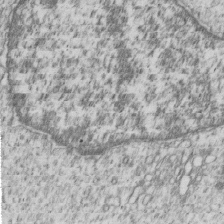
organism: Human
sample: MDA-MB-231 cells